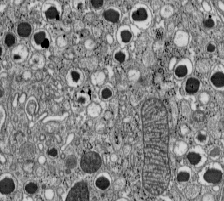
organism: C57BL Mouse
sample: Pancreatic islet